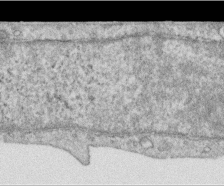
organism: Human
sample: Centriole in RPE cells